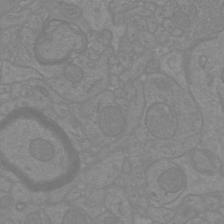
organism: Mouse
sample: Cortical neurons